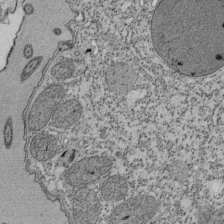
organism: Tetrahymena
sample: Cilia in tetrahymena